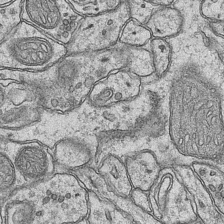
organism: Mouse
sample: CA1 Hippocampus